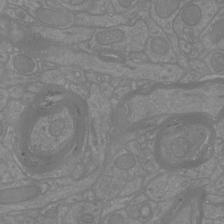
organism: Mouse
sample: Cortical neurons